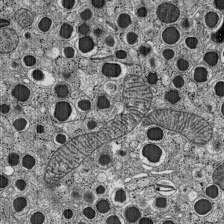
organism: C57BL Mouse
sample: Pancreatic islet